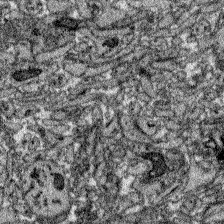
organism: Zebrafish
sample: Larval olfactory bulb